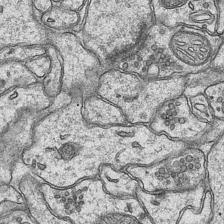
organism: Mouse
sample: CA1 Hippocampus